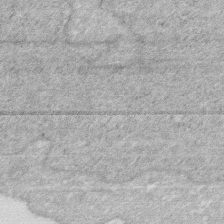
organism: Human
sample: HIV infected U937 cells